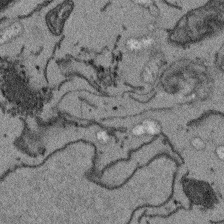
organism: Arabidopsis thaliana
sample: Root tip